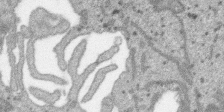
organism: Human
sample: Lung epithelial cells infected with SARS-CoV-2